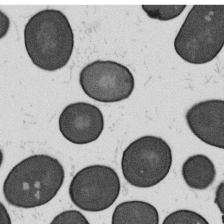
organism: B. subtilis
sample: Bacterial spore